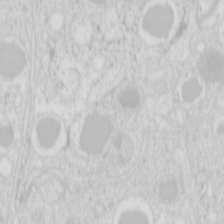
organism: Mouse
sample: Pancreas